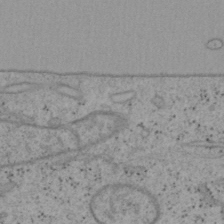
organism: Human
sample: HeLa cells